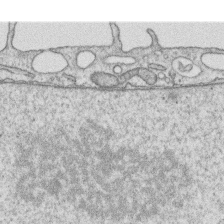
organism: Human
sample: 1205lu cells